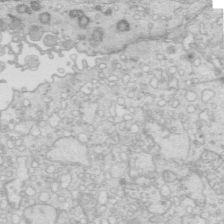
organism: Mouse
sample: Multiciliated cells